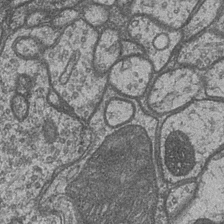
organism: Drosophila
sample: Optic medulla